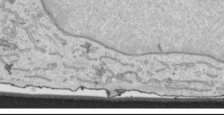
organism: Human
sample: Mitochondria in HCT116 cells